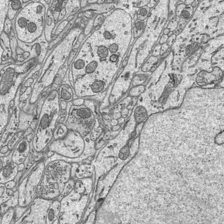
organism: Mouse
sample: Suprachiasmatic nucleus